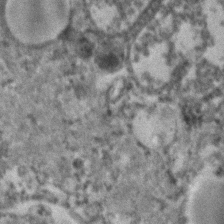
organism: Human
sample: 1205lu cells